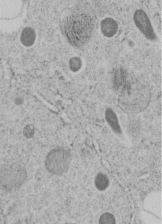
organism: C. elegans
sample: C. elegans embryo early stage